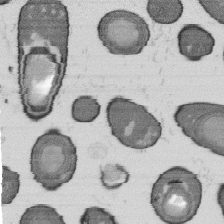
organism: B. subtilis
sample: Bacterial spore